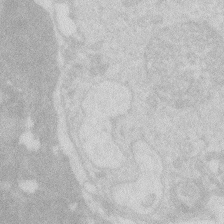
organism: Zebrafish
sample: Macrophage